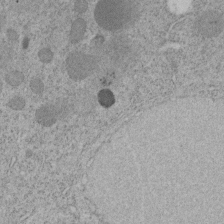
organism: C. elegans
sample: C. elegans embryo early stage